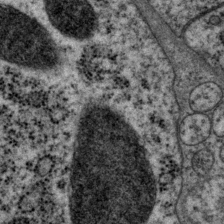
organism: P. pacificus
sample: Pharynx